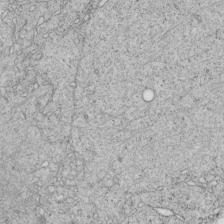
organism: C. elegans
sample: C. elegans embryo early stage